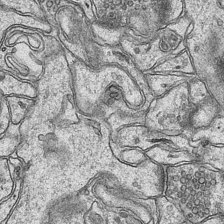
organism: Mouse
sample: CA1 Hippocampus